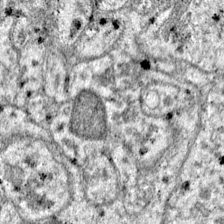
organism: Mouse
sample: Primary visual cortex